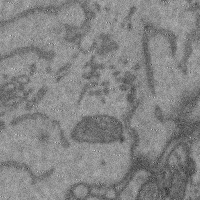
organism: Mouse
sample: Cerebral cortex